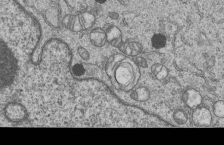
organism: Human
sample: MDA-MB-231 cells